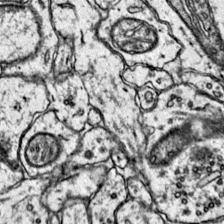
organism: Mouse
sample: Primary visual cortex